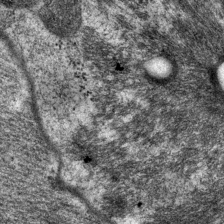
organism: P. pacificus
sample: Pharynx